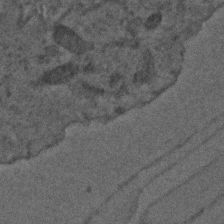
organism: C. elegans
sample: C. elegans embryo